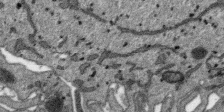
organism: Human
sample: Lung epithelial cells, uninfected (mock) control